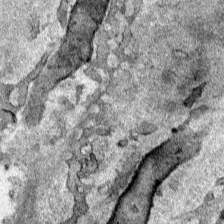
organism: Human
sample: Mitochondria in HCT116 cells